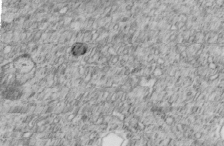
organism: C. elegans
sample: C. elegans embryo early stage